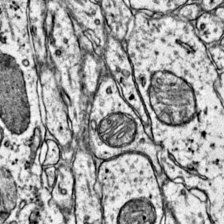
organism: Mouse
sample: Primary visual cortex